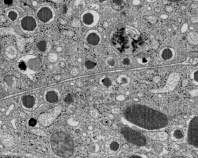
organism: C57BL Mouse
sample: Pancreatic islet